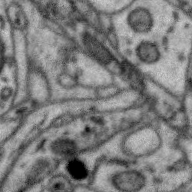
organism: Zebra finch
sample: Brain